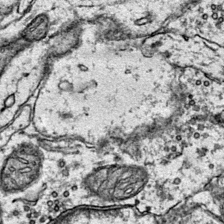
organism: Mouse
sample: Primary visual cortex